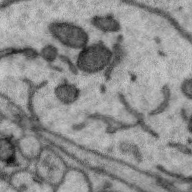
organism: Zebra finch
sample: Brain